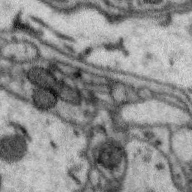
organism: Zebra finch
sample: Brain